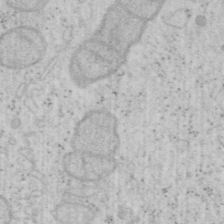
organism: Human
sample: HeLa cells